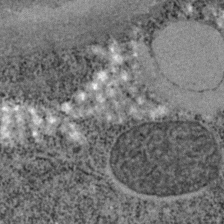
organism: C. elegans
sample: C. elegans embryo